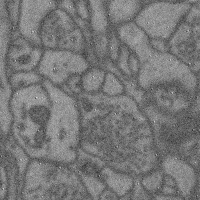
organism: Mouse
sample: Cerebral cortex